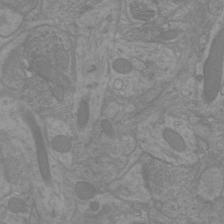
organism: Mouse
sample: Cortical neurons